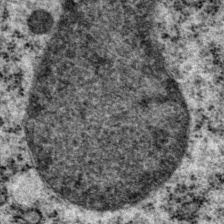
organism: P. pacificus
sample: Pharynx